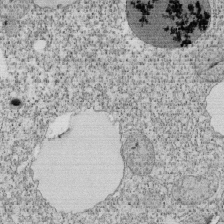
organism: Tetrahymena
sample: Cilia in tetrahymena